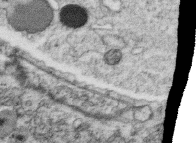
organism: C. elegans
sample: C. elegans oocyte; sperm cells